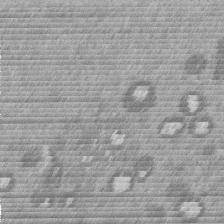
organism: Mouse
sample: Dividing mouse embryo 1 cell stage